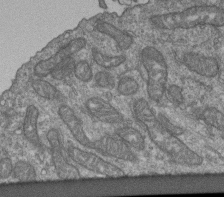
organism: Human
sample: Retinal organoid Rod and Cone cells